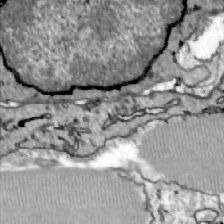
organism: Zebrafish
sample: Actinotrichia fibers